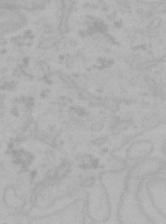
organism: Mouse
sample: Choroid plexus